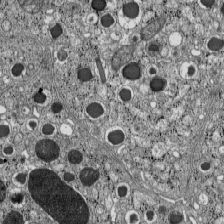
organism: C57BL Mouse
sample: Pancreatic islet